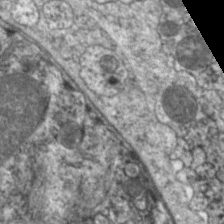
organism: C. elegans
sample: Pharynx